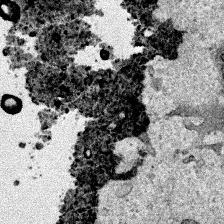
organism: Human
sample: Mitochondria in HCT116 cells